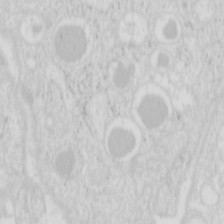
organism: Mouse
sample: Pancreas